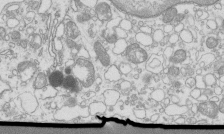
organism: Mouse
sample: Macrophages